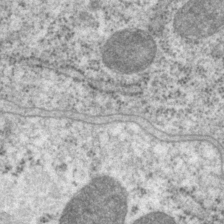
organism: P. pacificus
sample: Pharynx